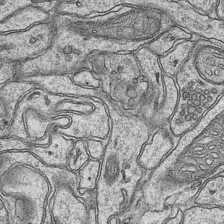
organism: Mouse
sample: CA1 Hippocampus